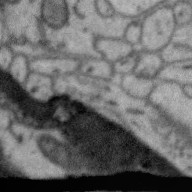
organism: Zebra finch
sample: Brain